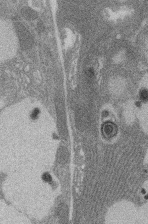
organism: Rat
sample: Salivary granule